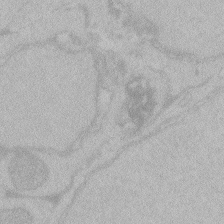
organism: Zebrafish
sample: Macrophage infected with Toxoplasma gondii